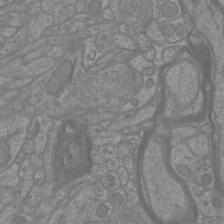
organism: Mouse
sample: Cortical neurons